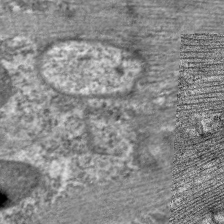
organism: C. elegans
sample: Pharynx